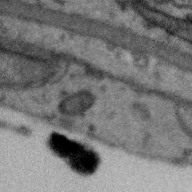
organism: Zebra finch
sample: Brain